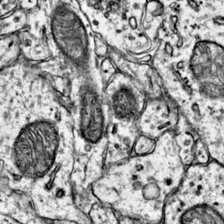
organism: Mouse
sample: Primary visual cortex